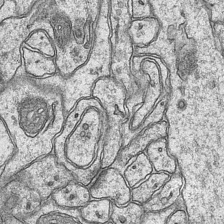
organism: Mouse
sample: CA1 Hippocampus